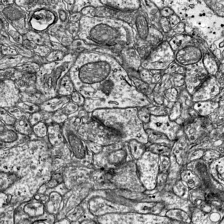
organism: Mouse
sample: Visual Cortex